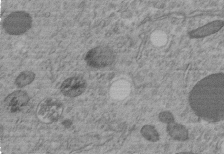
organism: C. elegans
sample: C. elegans embryo early stage